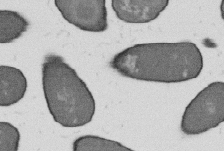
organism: B. subtilis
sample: Bacterial spore